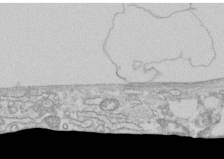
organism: Human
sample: CRL-1474